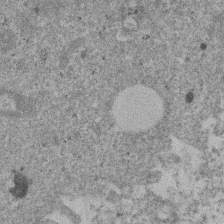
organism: Mouse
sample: Dividing mouse embryo 1 cell stage